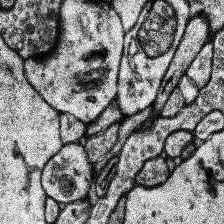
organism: Human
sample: Temporal Lobe